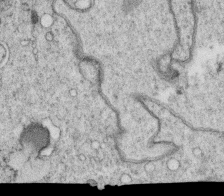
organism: C. elegans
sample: C. elegans oocyte; sperm cells